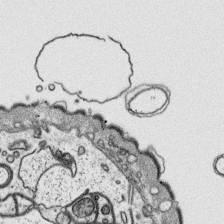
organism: Platynereis dumerilii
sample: Parapodia